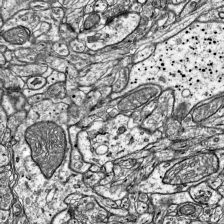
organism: Mouse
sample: Visual Cortex